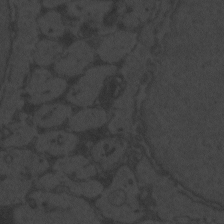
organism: Zebrafish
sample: Macrophage infected with Toxoplasma gondii